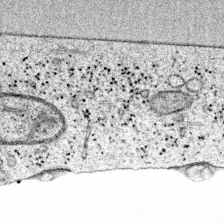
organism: Human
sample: HeLa cells